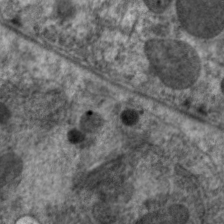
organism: C. elegans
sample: Pharynx